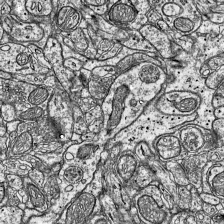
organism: Mouse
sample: Visual Cortex